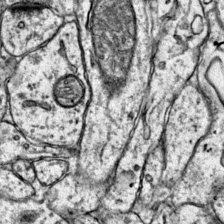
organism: Mouse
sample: Primary visual cortex